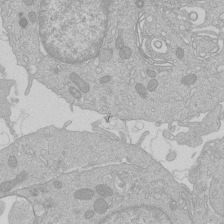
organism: Human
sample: Macrophage cells